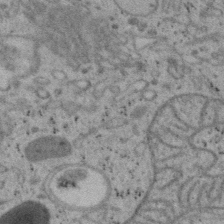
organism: Human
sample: HeLa cells